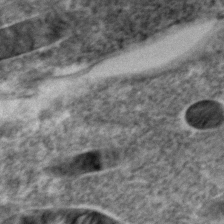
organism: Zebrafish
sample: Zebrafish embryo